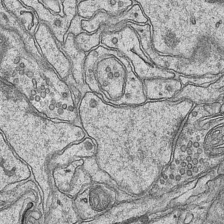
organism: Mouse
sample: CA1 Hippocampus